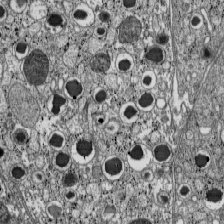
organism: C57BL Mouse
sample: Pancreatic islet